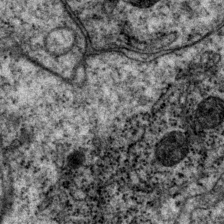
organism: P. pacificus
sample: Pharynx